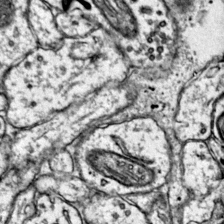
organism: Mouse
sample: Primary visual cortex